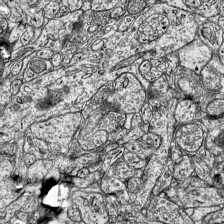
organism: Mouse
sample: Visual Cortex